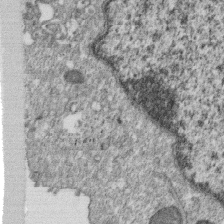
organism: African green monkey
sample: Vero E6 cells infected with SARS-CoV-2